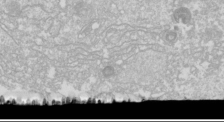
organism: Drosophila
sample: Cell division; meiosis; drosophila spermatocytes